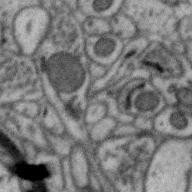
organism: Zebra finch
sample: Brain